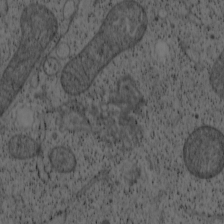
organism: African green monkey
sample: COS-7 cells